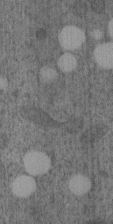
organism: C. elegans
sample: C. elegans embryo early stage